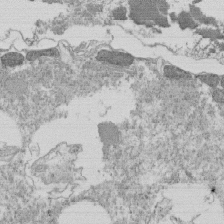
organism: Tetrahymena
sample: Cilia in tetrahymena